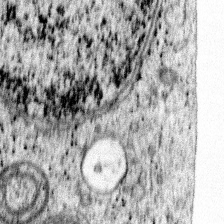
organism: Human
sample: HeLa cells